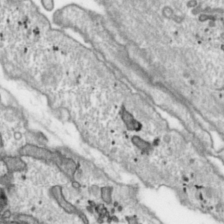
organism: Toxoplasma gondii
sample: Parasites in a vacuole inside a host cell